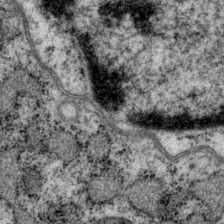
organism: P. pacificus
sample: Pharynx